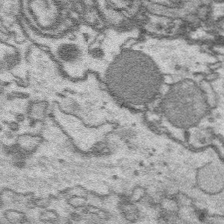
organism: Platynereis dumerilii